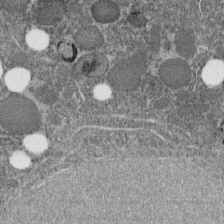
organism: C. elegans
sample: C. elegans embryo early stage